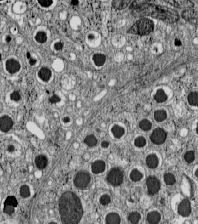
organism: C57BL Mouse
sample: Pancreatic islet